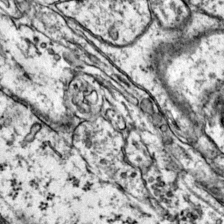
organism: Mouse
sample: Primary visual cortex